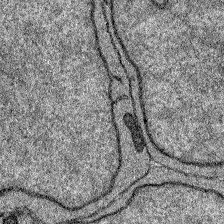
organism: Zebrafish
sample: Larval olfactory bulb